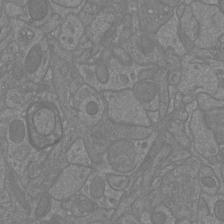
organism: Mouse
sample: Cortical neurons